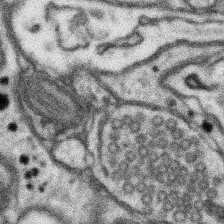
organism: Mouse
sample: Somatosensory cortex neuropil